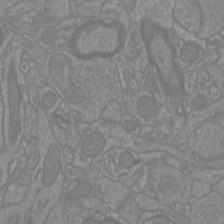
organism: Mouse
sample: Cortical neurons